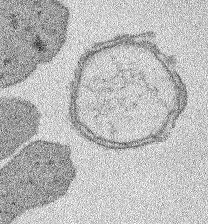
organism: Human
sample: HeLa cells